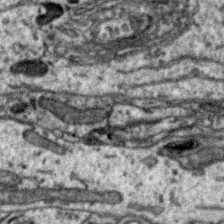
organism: Zebra finch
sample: Brain